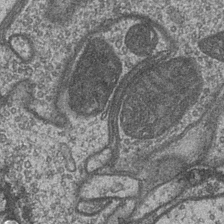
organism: Drosophila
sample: Optic medulla